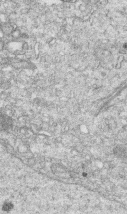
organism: Human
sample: HeLa cell HIV synapse